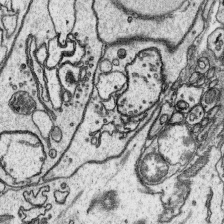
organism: Platynereis dumerilii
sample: Parapodia